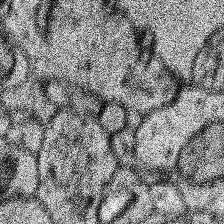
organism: Human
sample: Temporal Lobe